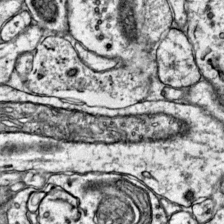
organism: Mouse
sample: Primary visual cortex